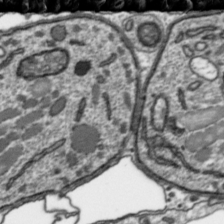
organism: Toxoplasma gondii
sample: Parasites in a vacuole inside a host cell